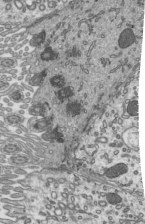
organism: Mouse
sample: Mouse epididymis efferent ductule cilia